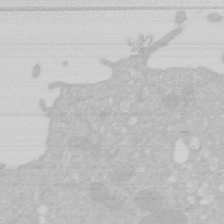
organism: Human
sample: HIV infected U937 cells